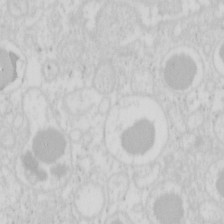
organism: Mouse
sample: Pancreas